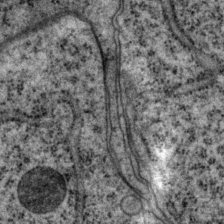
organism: P. pacificus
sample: Pharynx